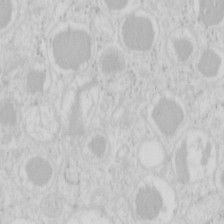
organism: Mouse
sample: Pancreas